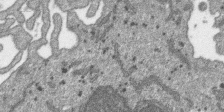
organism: Human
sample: Lung epithelial cells infected with SARS-CoV-2